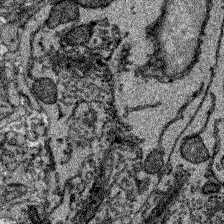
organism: Zebrafish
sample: Larval olfactory bulb